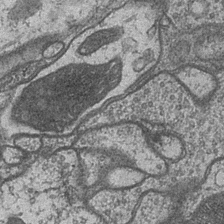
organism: Drosophila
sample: Optic medulla